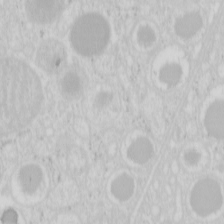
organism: Mouse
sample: Pancreas